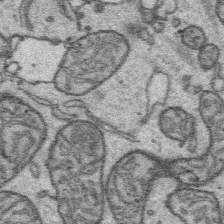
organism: Platynereis dumerilii